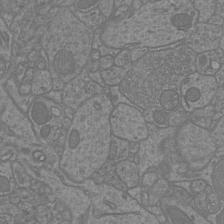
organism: Mouse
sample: Cortical neurons